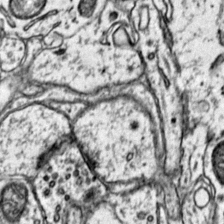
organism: Mouse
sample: Primary visual cortex